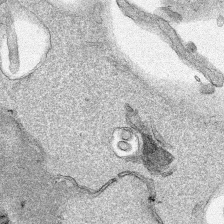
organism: Human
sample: Mitochondria in HCT116 cells